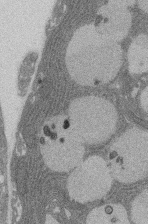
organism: Rat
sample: Salivary granule